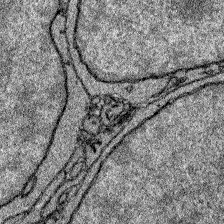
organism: Zebrafish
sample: Larval olfactory bulb